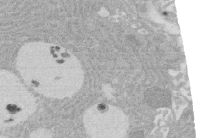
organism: Rat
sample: Salivary granule